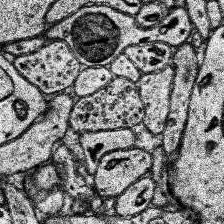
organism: Human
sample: Temporal Lobe